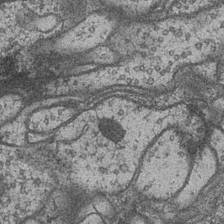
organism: Drosophila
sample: Optic medulla